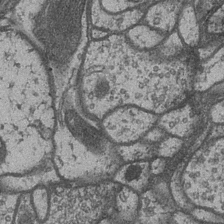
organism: Drosophila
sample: Optic medulla